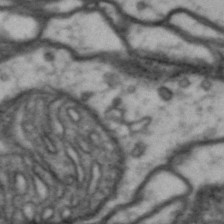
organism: Drosophila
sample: Brain